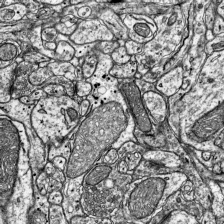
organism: Mouse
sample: Visual Cortex